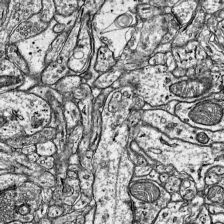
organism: Mouse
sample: Visual Cortex